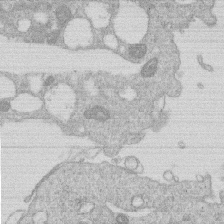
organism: Human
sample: Macrophage cells